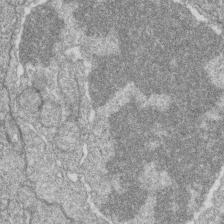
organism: Zebrafish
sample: Cilia; retinal pigment epithelium